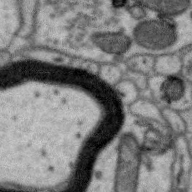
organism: Zebra finch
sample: Brain